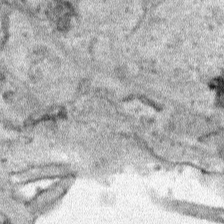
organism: Human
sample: Mitochondria in HCT116 cells